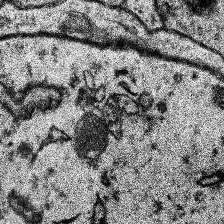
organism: Human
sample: Temporal Lobe